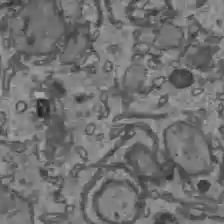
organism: C57BL Mouse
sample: Liver